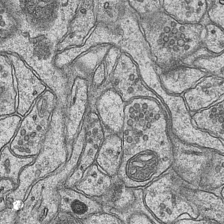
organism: Mouse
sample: CA1 Hippocampus